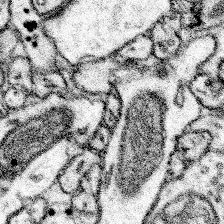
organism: Mouse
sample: Somatosensory cortex neuropil